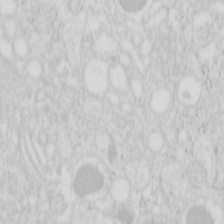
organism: Mouse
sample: Pancreas